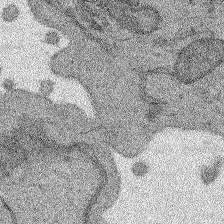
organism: Human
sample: HeLa cells